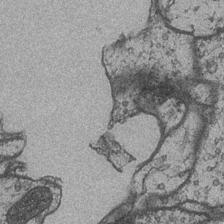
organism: Drosophila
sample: Optic medulla